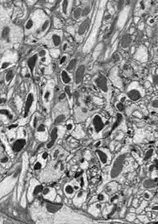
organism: Drosophila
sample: Optic lobe